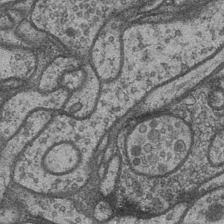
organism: Drosophila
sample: Optic medulla